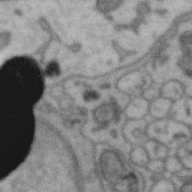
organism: Zebra finch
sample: Brain